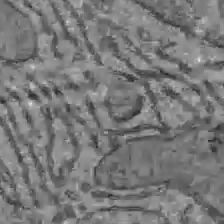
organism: C57BL Mouse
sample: Liver